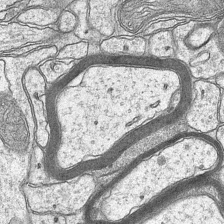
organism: Mouse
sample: CA1 Hippocampus